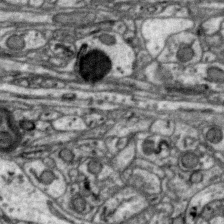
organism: Zebra finch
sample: Brain